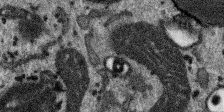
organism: Human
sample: Lung epithelial cells infected with SARS-CoV-2